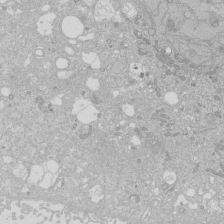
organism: Human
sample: Caco-2 cells